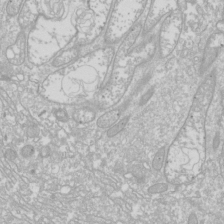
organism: Drosophila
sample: Cell division; meiosis; drosophila spermatocytes